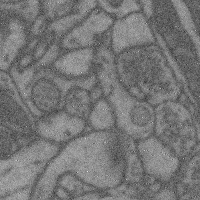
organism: Mouse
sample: Cerebral cortex